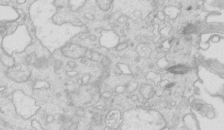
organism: Mouse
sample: Multiciliated cells